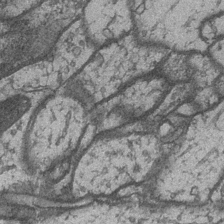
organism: Drosophila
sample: Optic medulla